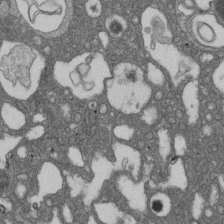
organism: Drosophila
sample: Nephrocyte